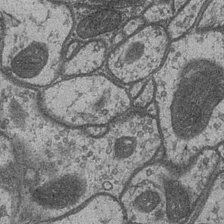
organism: Drosophila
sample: Optic medulla